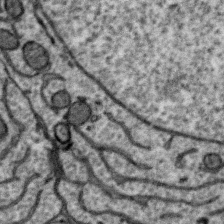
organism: Zebra finch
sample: Brain